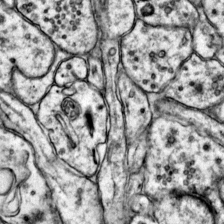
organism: Mouse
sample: Primary visual cortex